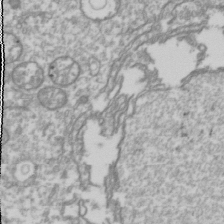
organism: Drosophila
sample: Cell division; meiosis; drosophila spermatocytes